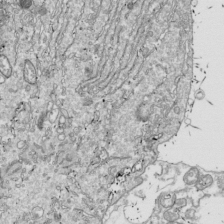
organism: Drosophila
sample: Cell division; meiosis; drosophila spermatocytes